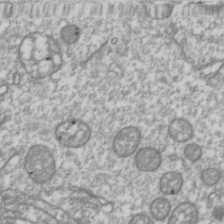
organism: Drosophila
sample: Cell division; meiosis; drosophila spermatocytes